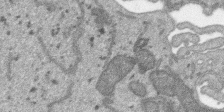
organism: Human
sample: Lung epithelial cells infected with SARS-CoV-2